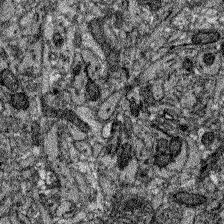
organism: Zebrafish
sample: Larval olfactory bulb